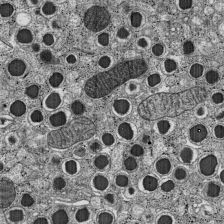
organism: C57BL Mouse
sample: Pancreatic islet